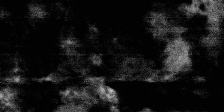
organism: Human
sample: Lung epithelial cells infected with SARS-CoV-2